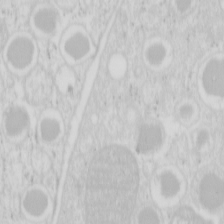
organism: Mouse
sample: Pancreas